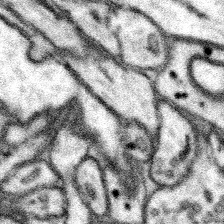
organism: Mouse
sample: Somatosensory cortex neuropil